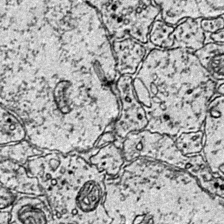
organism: Mouse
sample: Primary visual cortex